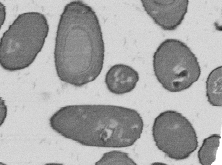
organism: B. subtilis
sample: Bacterial spore